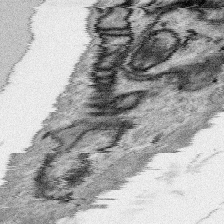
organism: Human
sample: HeLa cells